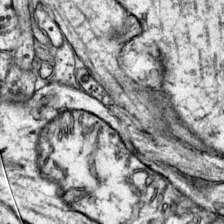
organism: Mouse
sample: Primary visual cortex